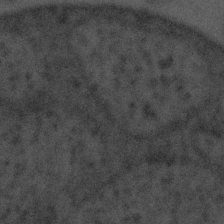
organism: Tuwongella immobilis